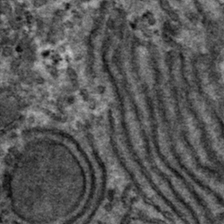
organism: Mouse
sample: Mouse hepatocytes